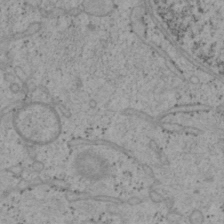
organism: Human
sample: HeLa cells